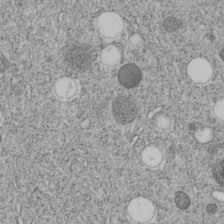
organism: C. elegans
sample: C. elegans embryo early stage